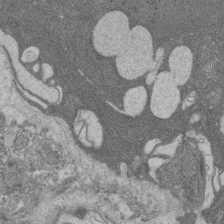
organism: Rat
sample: Salivary granule